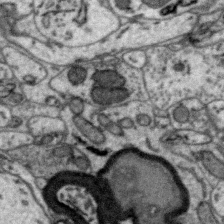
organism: Zebra finch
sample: Brain